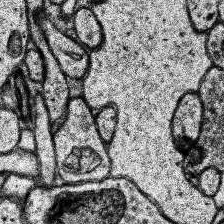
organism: Human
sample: Temporal Lobe